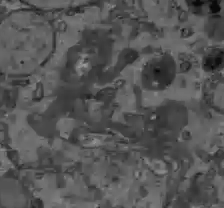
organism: C57BL Mouse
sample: Liver